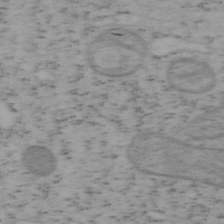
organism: Mouse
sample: OT-I killer T cells with ID8 ovarian cancer cells